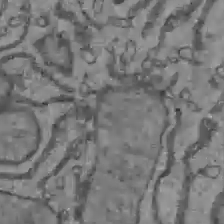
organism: C57BL Mouse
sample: Liver